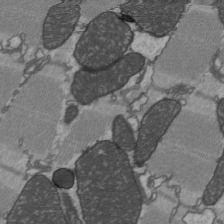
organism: C57BL Mouse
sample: Heart